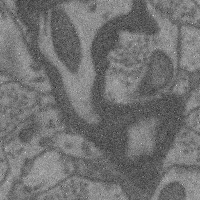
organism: Mouse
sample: Cerebral cortex